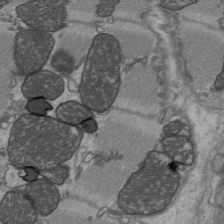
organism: C57BL Mouse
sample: Heart